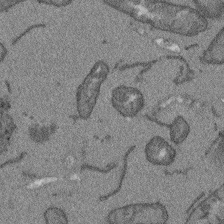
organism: Arabidopsis thaliana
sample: Root tip